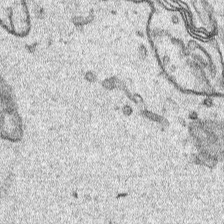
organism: Human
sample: Mitochondria in HCT116 cells